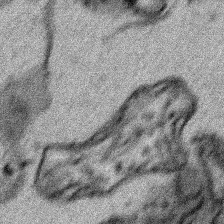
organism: Human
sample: Mitochondria in HCT116 cells